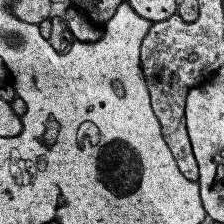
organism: Human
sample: Temporal Lobe